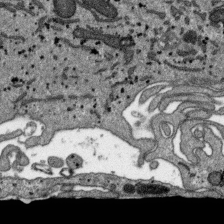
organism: Human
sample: Lung epithelial cells, uninfected (mock) control